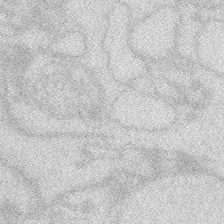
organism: Zebrafish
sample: Macrophage